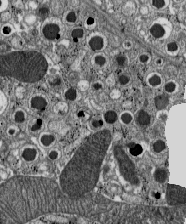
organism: C57BL Mouse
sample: Pancreatic islet